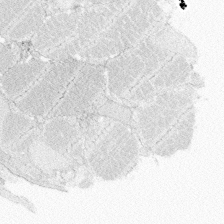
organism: Zebrafish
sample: Whole-Brain